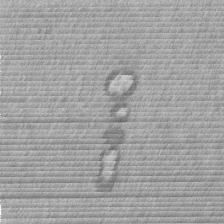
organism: Mouse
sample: Dividing mouse embryo 1 cell stage